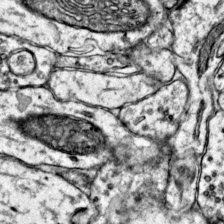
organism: Mouse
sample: Primary visual cortex